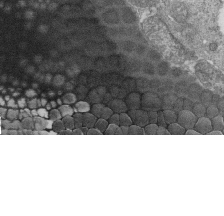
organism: Tetrahymena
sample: Cilia in tetrahymena